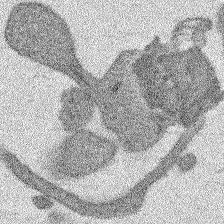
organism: Human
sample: HeLa cells